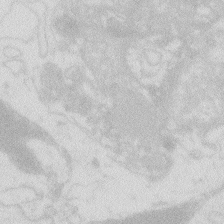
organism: Zebrafish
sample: Macrophage